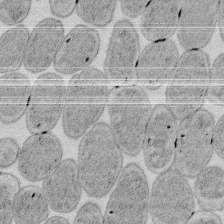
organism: E. coli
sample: Bacterial nucleoid